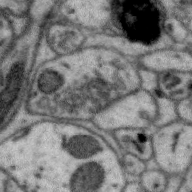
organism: Zebra finch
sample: Brain